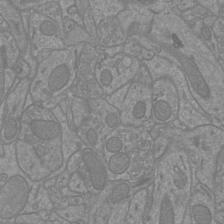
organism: Mouse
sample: Cortical neurons